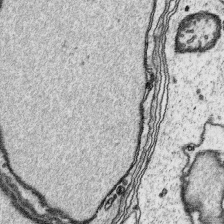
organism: Platynereis dumerilii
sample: Parapodia